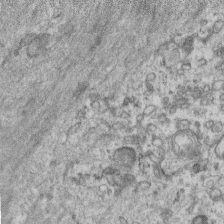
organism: Mouse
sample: Centriole in ependymal cells